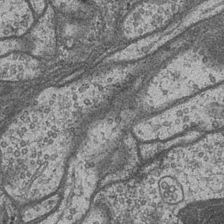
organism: Drosophila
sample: Optic medulla